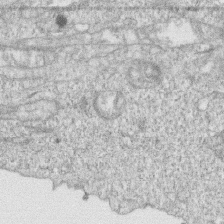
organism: Human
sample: HeLa cell HIV synapse